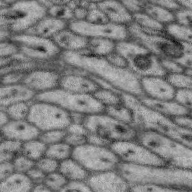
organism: Zebra finch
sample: Brain